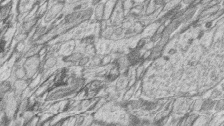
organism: Zebrafish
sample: synaptic ribbons in rod cells and cone cells